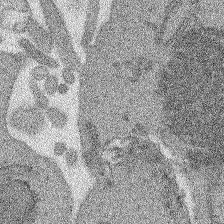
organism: Human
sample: HeLa cells